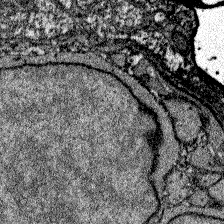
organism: Zebrafish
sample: Larval olfactory bulb